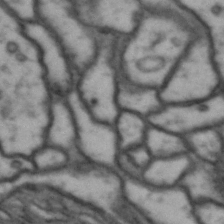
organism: Drosophila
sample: Brain